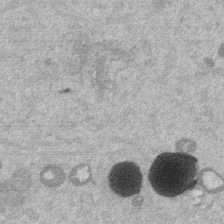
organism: Mouse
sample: Dividing mouse embryo 1 cell stage